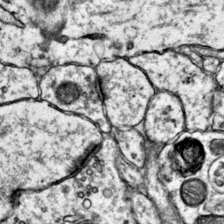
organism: Mouse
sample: Primary visual cortex